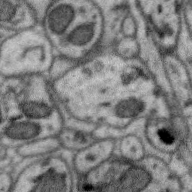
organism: Zebra finch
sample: Brain